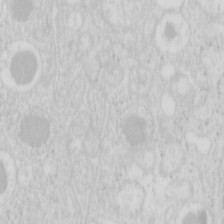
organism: Mouse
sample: Pancreas